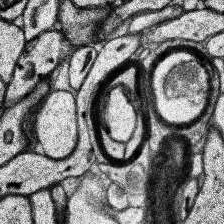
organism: Human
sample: Temporal Lobe